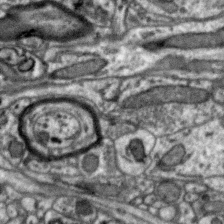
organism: Zebra finch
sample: Brain